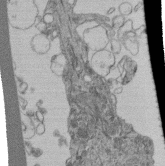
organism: Human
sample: Retinal organoid Rod and Cone cells